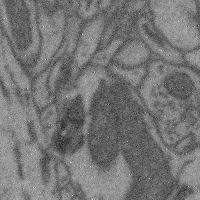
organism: Mouse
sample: Cerebral cortex